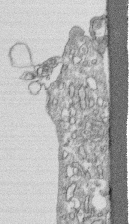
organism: Human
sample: CRL-1474